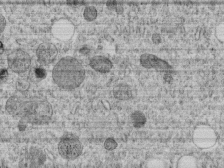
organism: C. elegans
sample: C. elegans embryo early stage